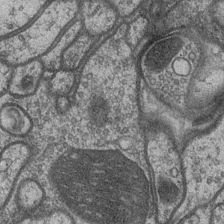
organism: Drosophila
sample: Optic medulla